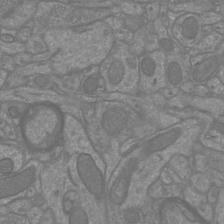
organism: Mouse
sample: Cortical neurons